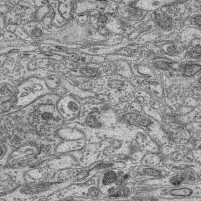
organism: Mouse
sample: Retina